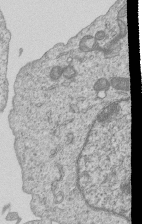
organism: Human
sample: MDA-MB-231 cells